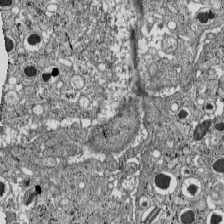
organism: C57BL Mouse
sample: Pancreatic islet